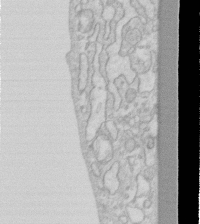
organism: Human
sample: Fibroblast cells